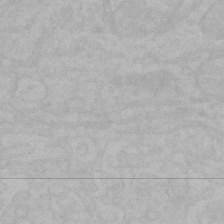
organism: Mouse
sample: Choroid plexus